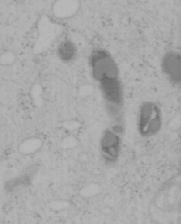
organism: Mouse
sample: OT-I killer T cells with ID8 ovarian cancer cells